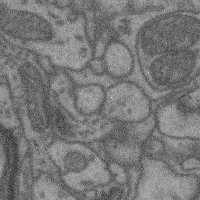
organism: Mouse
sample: Cerebral cortex